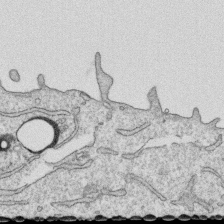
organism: Human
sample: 1205lu cells